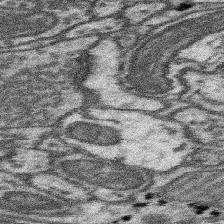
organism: Mouse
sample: Somatosensory cortex neuropil